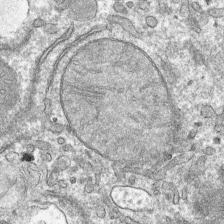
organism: Mouse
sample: Mouse hepatocytes